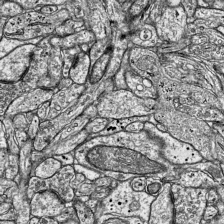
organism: Mouse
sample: Visual Cortex